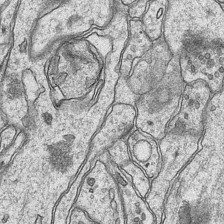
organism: Mouse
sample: CA1 Hippocampus